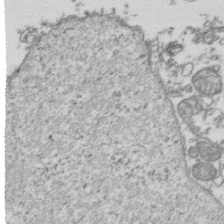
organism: Human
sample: Activated Jurkat CD4+ T cells